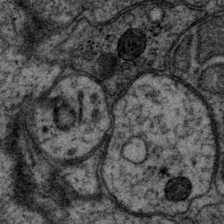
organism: P. pacificus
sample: Pharynx